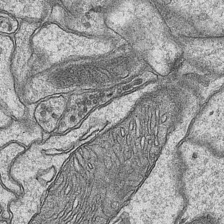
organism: Mouse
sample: CA1 Hippocampus